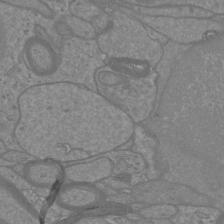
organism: Mouse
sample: Cortical neurons